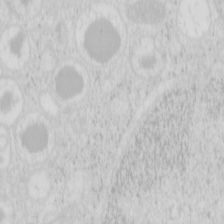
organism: Mouse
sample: Pancreas